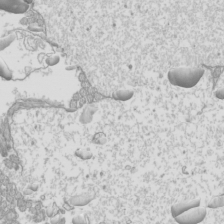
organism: Mouse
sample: Cilia; mouse epididymis